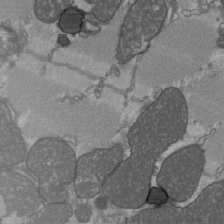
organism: C57BL Mouse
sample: Heart